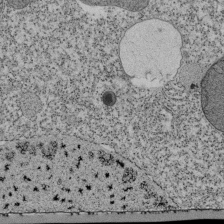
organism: Tetrahymena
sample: Cilia in tetrahymena